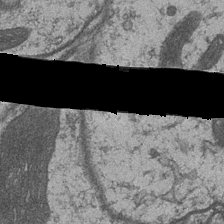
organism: Drosophila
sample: Optic medulla